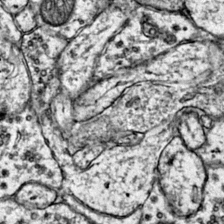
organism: Mouse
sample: Primary visual cortex